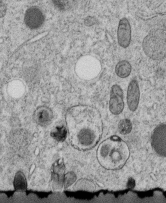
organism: C. elegans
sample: C. elegans embryo early stage